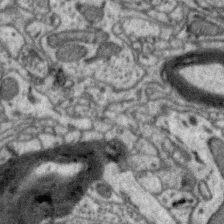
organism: Zebra finch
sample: Brain